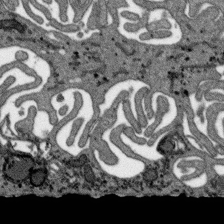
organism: Human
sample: Lung epithelial cells, uninfected (mock) control